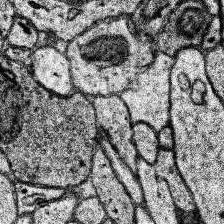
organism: Human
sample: Temporal Lobe